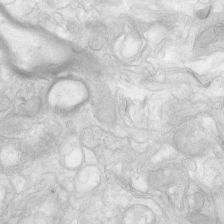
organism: Human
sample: Neocortex